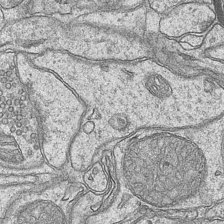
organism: Mouse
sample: CA1 Hippocampus